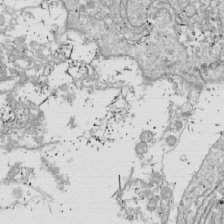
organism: Drosophila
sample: Cell division; meiosis; drosophila spermatocytes